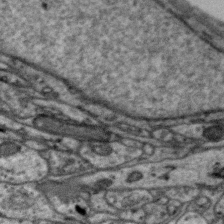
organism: Zebra finch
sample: Brain